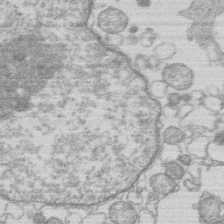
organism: Human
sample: Macrophage cells